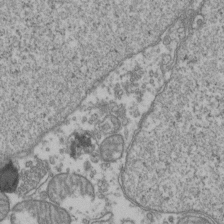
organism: Human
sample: Activated Jurkat CD4+ T cells